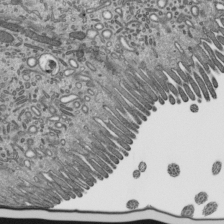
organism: Mouse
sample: Mouse epididymis efferent ductule cilia